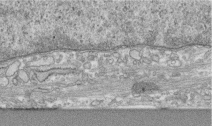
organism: Human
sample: Centriole in RPE cells